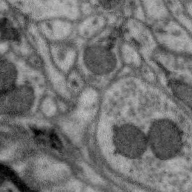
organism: Zebra finch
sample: Brain